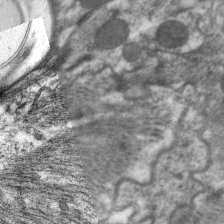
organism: C. elegans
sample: Pharynx